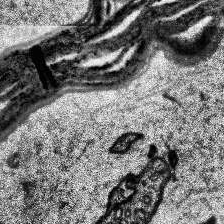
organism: Human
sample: Temporal Lobe